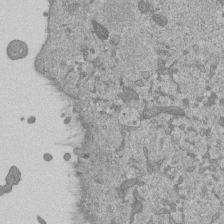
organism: Mouse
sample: ED-1 cell nuclei; centrioles